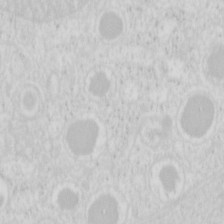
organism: Mouse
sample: Pancreas